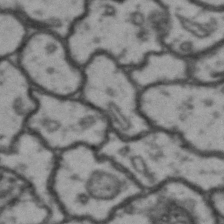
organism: Drosophila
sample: Brain